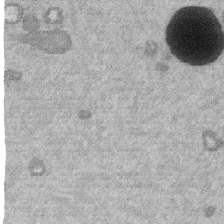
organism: Mouse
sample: Dividing mouse embryo 1 cell stage